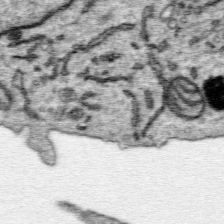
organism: Human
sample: HeLa cells